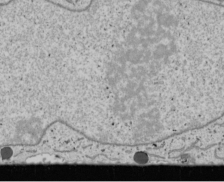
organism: Human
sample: Mitochondria in U2OS cells